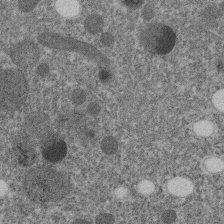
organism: C. elegans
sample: C. elegans embryo early stage